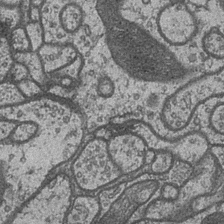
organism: Drosophila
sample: Optic medulla